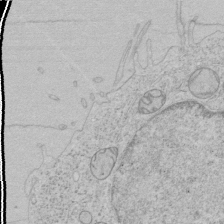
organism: Human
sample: Mitochondria in HCT116 cells